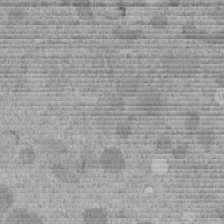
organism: C. elegans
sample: C. elegans embryo early stage